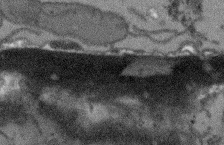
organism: Arabidopsis thaliana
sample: Root tip